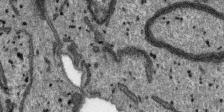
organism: Human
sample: Lung epithelial cells, uninfected (mock) control